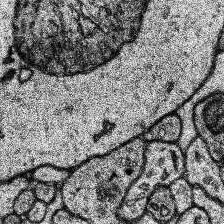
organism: Human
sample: Temporal Lobe